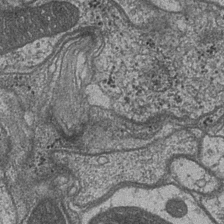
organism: Drosophila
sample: Optic medulla